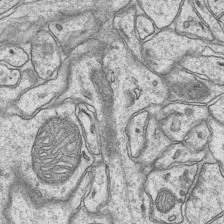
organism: Mouse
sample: CA1 Hippocampus